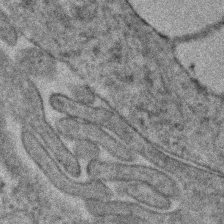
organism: Human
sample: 1205lu cells